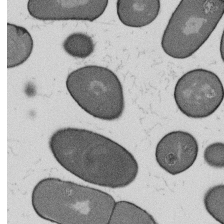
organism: B. subtilis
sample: Bacterial spore